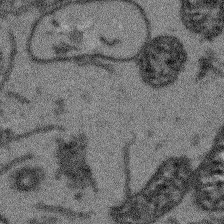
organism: Arabidopsis thaliana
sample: Root tip